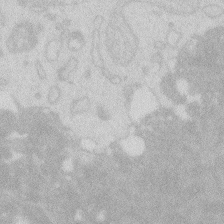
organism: Zebrafish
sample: Macrophage